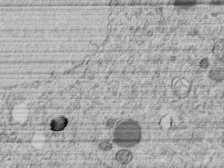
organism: C. elegans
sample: C. elegans embryo early stage